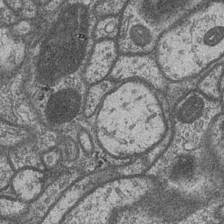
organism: Drosophila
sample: Optic medulla